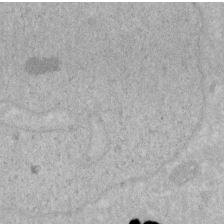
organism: Human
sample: HIV infected U937 cells